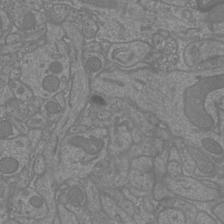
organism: Mouse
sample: Cortical neurons